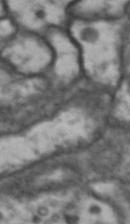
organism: Drosophila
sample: Brain